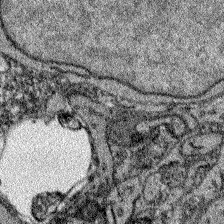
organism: Zebrafish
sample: Larval olfactory bulb